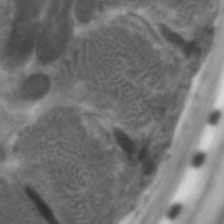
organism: C. elegans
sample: Pharynx